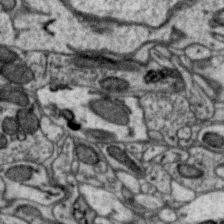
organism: Zebra finch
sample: Brain